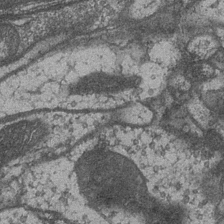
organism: Drosophila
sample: Optic medulla